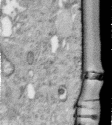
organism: Human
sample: Centriole in RPE cells